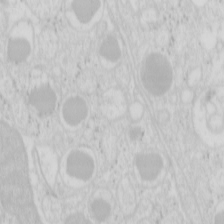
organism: Mouse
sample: Pancreas